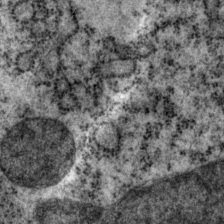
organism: P. pacificus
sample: Pharynx